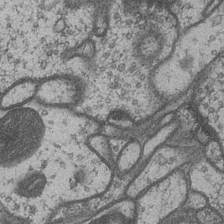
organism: Drosophila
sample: Optic medulla